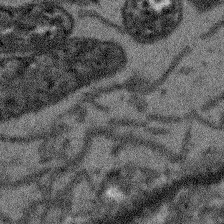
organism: Arabidopsis thaliana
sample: Root tip